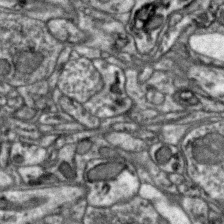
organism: Zebra finch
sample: Brain